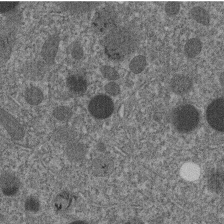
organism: C. elegans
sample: C. elegans embryo early stage